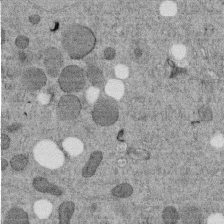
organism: C. elegans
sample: C. elegans embryo early stage